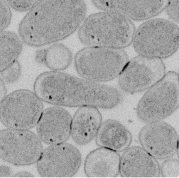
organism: E. coli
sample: Bacterial nucleoid